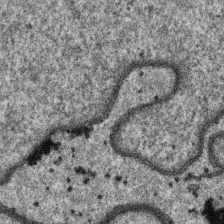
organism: Human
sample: Lung epithelial cells infected with SARS-CoV-2